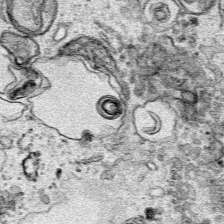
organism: Human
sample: Mitochondria in HCT116 cells